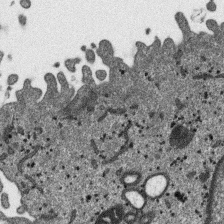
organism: Human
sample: Lung epithelial cells infected with SARS-CoV-2